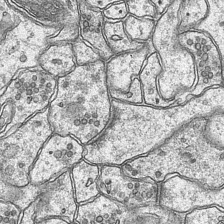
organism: Mouse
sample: CA1 Hippocampus